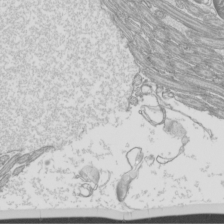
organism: Mouse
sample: Cilia; mouse epididymis